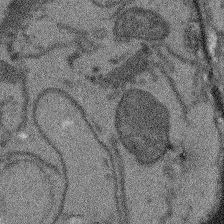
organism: Arabidopsis thaliana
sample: Root tip